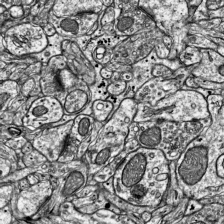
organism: Mouse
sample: Visual Cortex